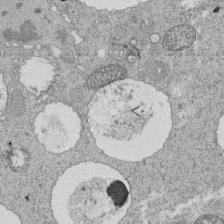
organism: Tetrahymena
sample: Cilia in tetrahymena